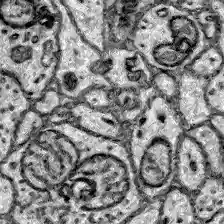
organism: Zebrafish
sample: Brain